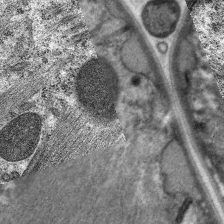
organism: C. elegans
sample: Pharynx